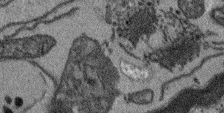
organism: Arabidopsis thaliana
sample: Root tip